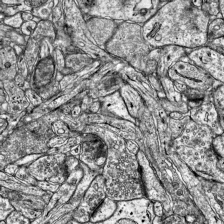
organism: Mouse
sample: Visual Cortex